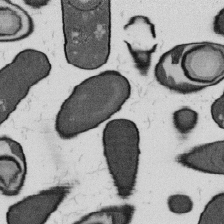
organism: B. subtilis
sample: Bacterial spore